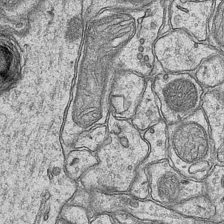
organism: Mouse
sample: CA1 Hippocampus